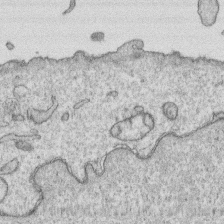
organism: Human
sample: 1205lu cells